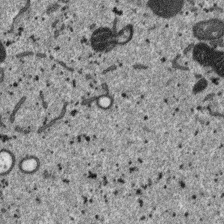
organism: Human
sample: Lung epithelial cells infected with SARS-CoV-2